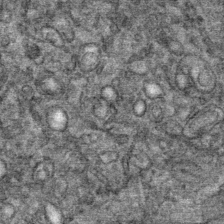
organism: Mouse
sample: Mouse Salivary gland